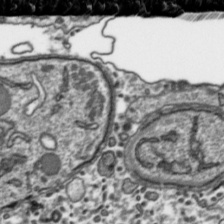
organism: Toxoplasma gondii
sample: Parasites in a vacuole inside a host cell